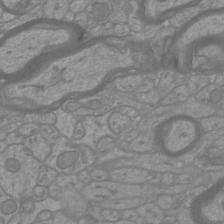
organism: Mouse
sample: Cortical neurons